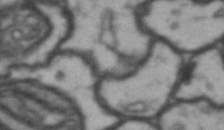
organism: Drosophila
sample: Brain